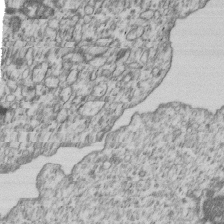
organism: Human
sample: MDA-MB-231 cells